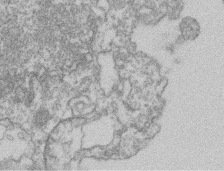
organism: Mouse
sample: T cell stromal cell synapse